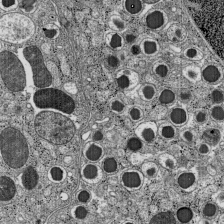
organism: C57BL Mouse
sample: Pancreatic islet